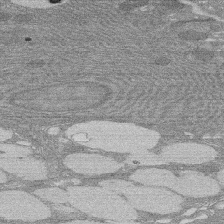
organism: Rat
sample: Salivary granule